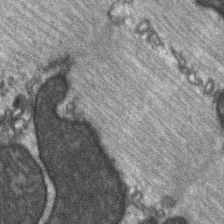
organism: C57BL Mouse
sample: Soleus